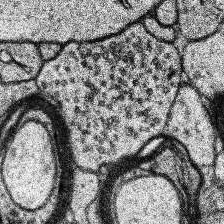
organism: Human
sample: Temporal Lobe